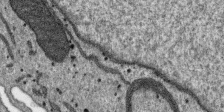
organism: Human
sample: Lung epithelial cells, uninfected (mock) control